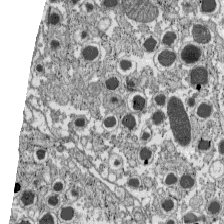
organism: C57BL Mouse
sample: Pancreatic islet